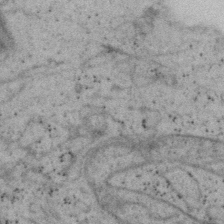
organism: Human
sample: HeLa cells